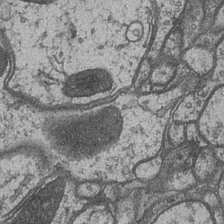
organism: Drosophila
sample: Optic medulla